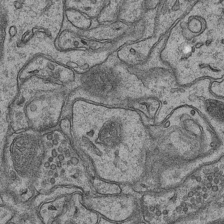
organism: Mouse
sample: CA1 Hippocampus